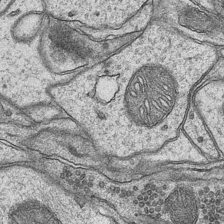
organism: Mouse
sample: CA1 Hippocampus